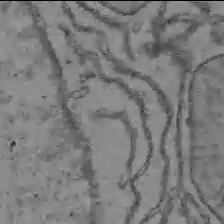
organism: C57BL Mouse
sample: Liver